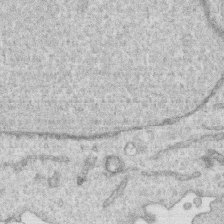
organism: Human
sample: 1205lu cells